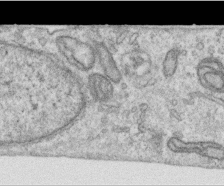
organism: Human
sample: Centriole in RPE cells